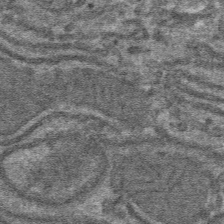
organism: Mouse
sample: Mouse hepatocytes